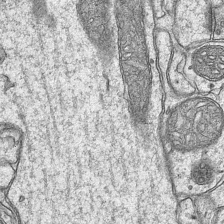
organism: Mouse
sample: CA1 Hippocampus